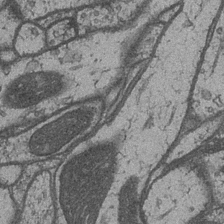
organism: Drosophila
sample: Optic medulla